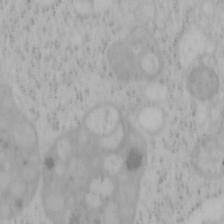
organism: Mouse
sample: OT-I killer T cells with ID8 ovarian cancer cells